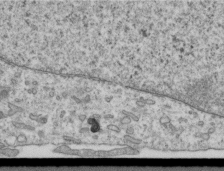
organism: Human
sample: Centriole in RPE cells